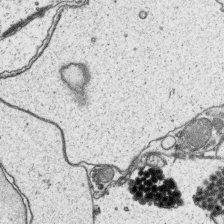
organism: Platynereis dumerilii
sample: Parapodia